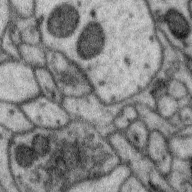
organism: Zebra finch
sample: Brain